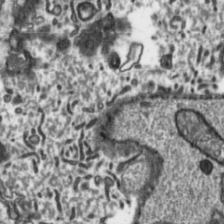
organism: Toxoplasma gondii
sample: Parasites in a vacuole inside a host cell